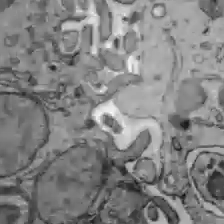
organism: C57BL Mouse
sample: Liver